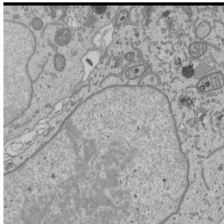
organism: Human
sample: Mitochondria in U2OS cells